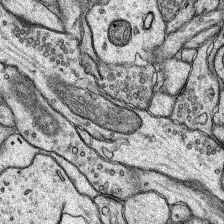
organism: Rat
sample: Hippocampus